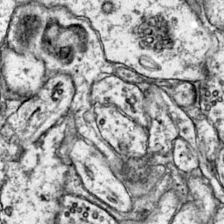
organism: Mouse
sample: Primary visual cortex